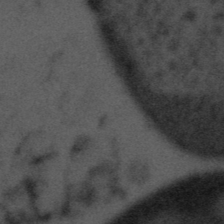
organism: Tuwongella immobilis